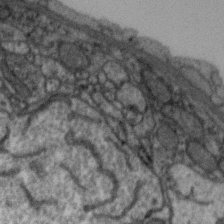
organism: Zebra finch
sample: Brain